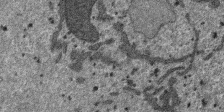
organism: Human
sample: Lung epithelial cells infected with SARS-CoV-2